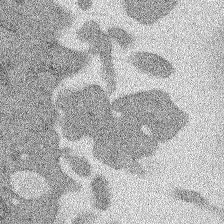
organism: Human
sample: HeLa cells